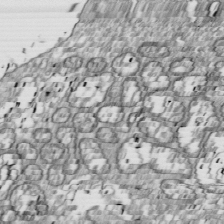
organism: Drosophila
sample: Cell division; meiosis; drosophila spermatocytes